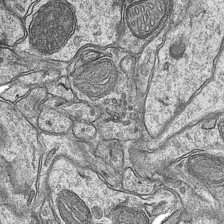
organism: Mouse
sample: CA1 Hippocampus